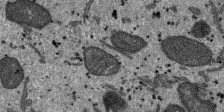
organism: Human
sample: Lung epithelial cells, uninfected (mock) control